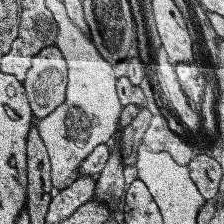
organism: Human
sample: Temporal Lobe